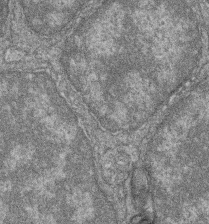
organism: Zebrafish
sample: Cilia; retinal pigment epithelium